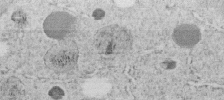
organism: C. elegans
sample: C. elegans embryo early stage